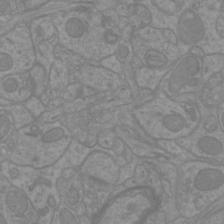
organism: Mouse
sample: Cortical neurons